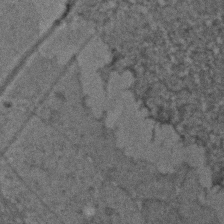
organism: Zebrafish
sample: Zebrafish embryo